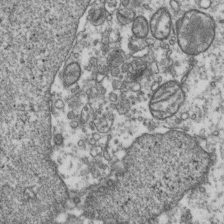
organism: Human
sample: Activated Jurkat CD4+ T cells